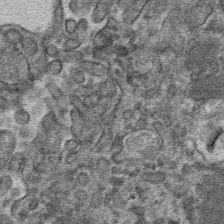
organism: Mouse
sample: Mouse hepatocytes